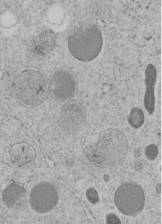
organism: C. elegans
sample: C. elegans embryo early stage